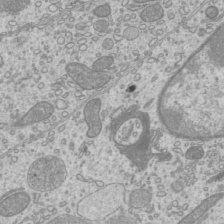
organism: Mouse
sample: Cilia; mouse epididymis